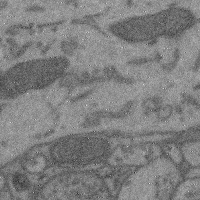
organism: Mouse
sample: Cerebral cortex